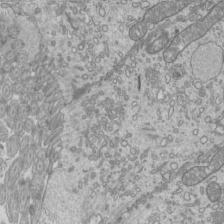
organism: Mouse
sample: Cilia; mouse epididymis